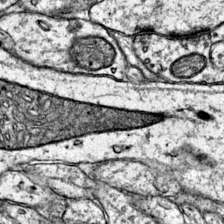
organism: Mouse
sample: Primary visual cortex